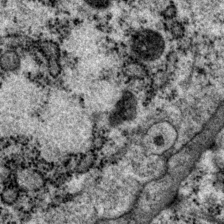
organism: P. pacificus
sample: Pharynx